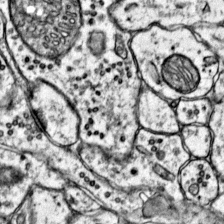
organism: Mouse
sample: Primary visual cortex